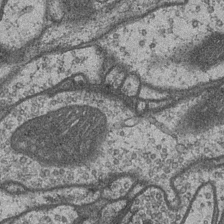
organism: Drosophila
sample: Optic medulla